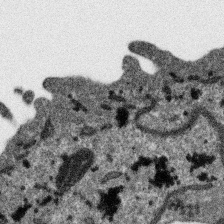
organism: Human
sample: Lung epithelial cells infected with SARS-CoV-2